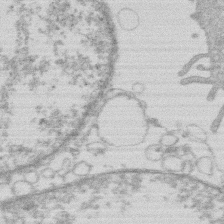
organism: Human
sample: Macrophage cells